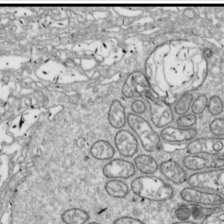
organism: Drosophila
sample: Cell division; meiosis; drosophila spermatocytes